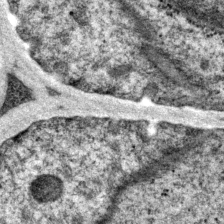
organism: P. pacificus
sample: Pharynx